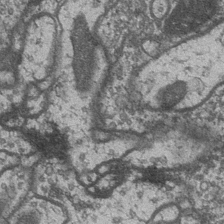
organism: Drosophila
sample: Optic medulla